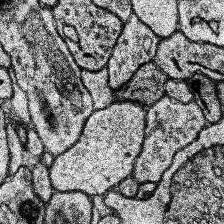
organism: Human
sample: Temporal Lobe